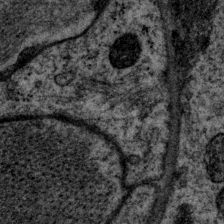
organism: P. pacificus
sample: Pharynx